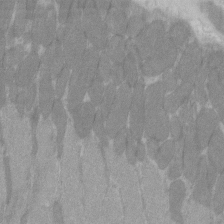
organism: C57BL Mouse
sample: Tibialis anterior muscle cell